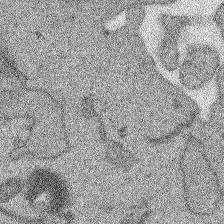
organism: Human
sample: HeLa cells